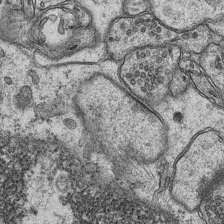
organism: Mouse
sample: CA1 Hippocampus